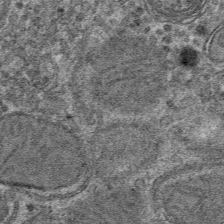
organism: Mouse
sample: Mouse hepatocytes